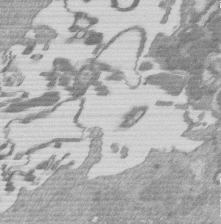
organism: Mouse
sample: Dividing mouse embryo 1 cell stage